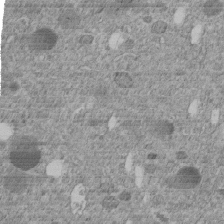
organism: C. elegans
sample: C. elegans embryo early stage